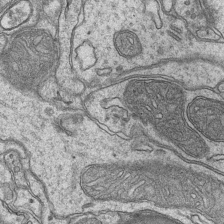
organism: Mouse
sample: CA1 Hippocampus